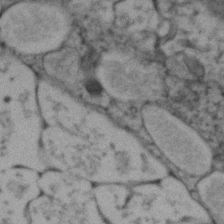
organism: Zebrafish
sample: Zebrafish embryo